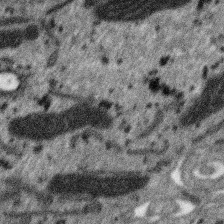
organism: Human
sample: Lung epithelial cells infected with SARS-CoV-2